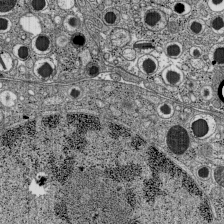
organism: C57BL Mouse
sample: Pancreatic islet